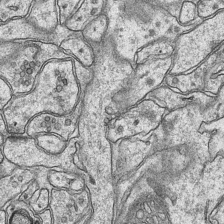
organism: Mouse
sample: CA1 Hippocampus